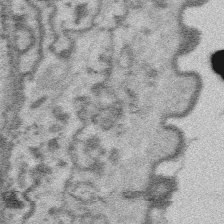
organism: Platynereis dumerilii